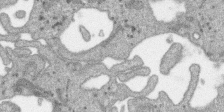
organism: Human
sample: Lung epithelial cells infected with SARS-CoV-2